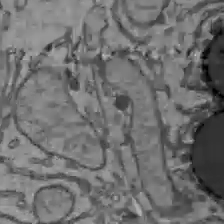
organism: C57BL Mouse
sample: Liver